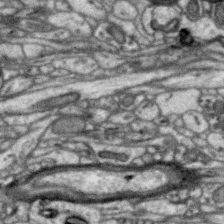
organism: Zebra finch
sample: Brain